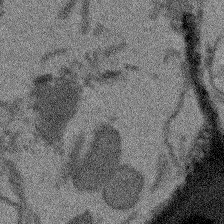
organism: Arabidopsis thaliana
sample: Root tip